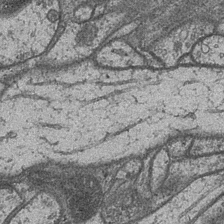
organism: Drosophila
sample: Optic medulla